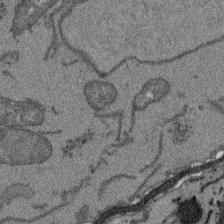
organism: Arabidopsis thaliana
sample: Root tip